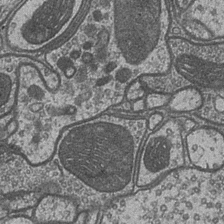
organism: Drosophila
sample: Optic medulla